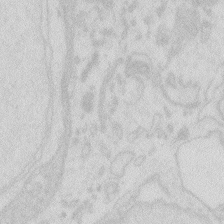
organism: Zebrafish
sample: Macrophage